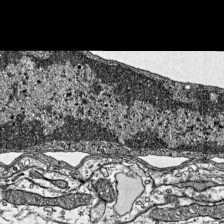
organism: Mouse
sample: Visual Cortex